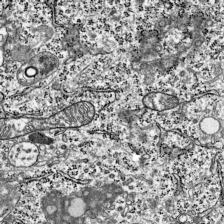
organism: Mouse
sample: Visual Cortex